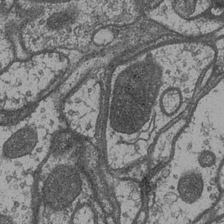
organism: Drosophila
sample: Optic medulla